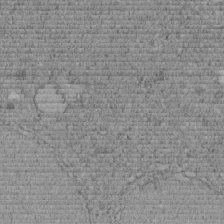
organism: C. elegans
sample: C. elegans embryo early stage